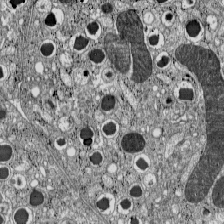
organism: C57BL Mouse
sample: Pancreatic islet